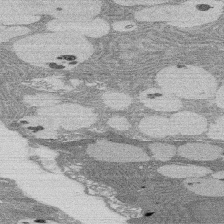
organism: Rat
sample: Salivary granule